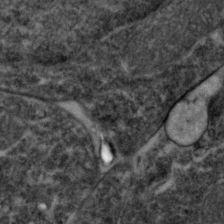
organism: Zebrafish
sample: Zebrafish embryo